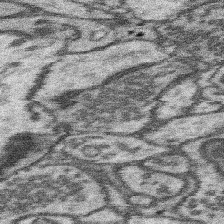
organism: Mouse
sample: Somatosensory cortex neuropil